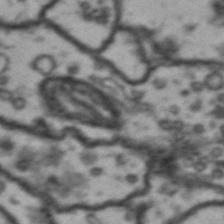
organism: Drosophila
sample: Brain